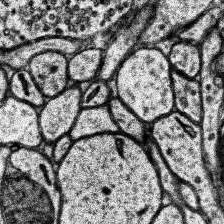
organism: Human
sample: Temporal Lobe